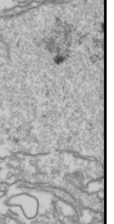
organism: Drosophila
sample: Cell division; meiosis; drosophila spermatocytes